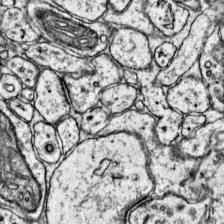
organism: Mouse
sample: Primary visual cortex